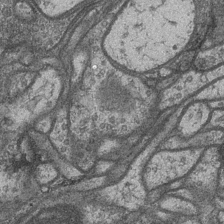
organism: Drosophila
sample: Optic medulla